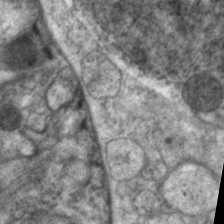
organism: C. elegans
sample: Pharynx